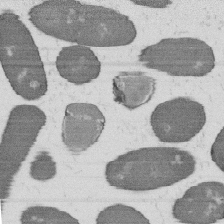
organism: B. subtilis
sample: Bacterial spore